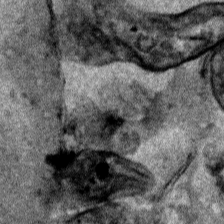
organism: Human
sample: Mitochondria in HCT116 cells